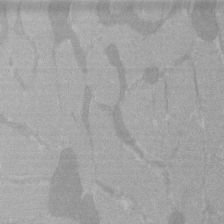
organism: C57BL Mouse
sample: Tibialis anterior muscle cell